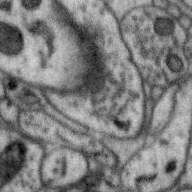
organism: Zebra finch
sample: Brain